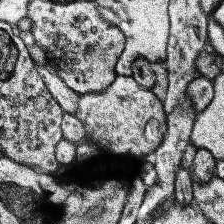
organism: Human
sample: Temporal Lobe